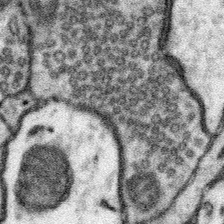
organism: Mouse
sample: Somatosensory cortex neuropil